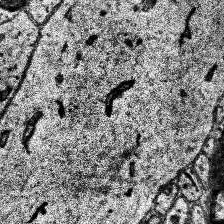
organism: Human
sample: Temporal Lobe